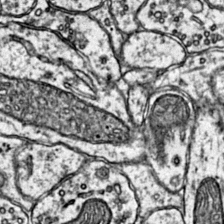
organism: Mouse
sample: Primary visual cortex